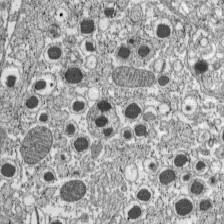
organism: C57BL Mouse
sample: Pancreatic islet